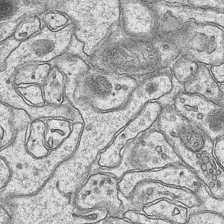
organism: Mouse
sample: CA1 Hippocampus